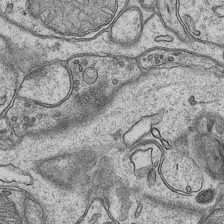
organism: Mouse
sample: CA1 Hippocampus